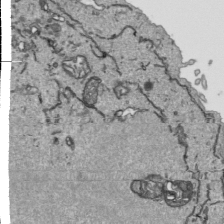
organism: Human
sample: Mitochondria in HCT116 cells